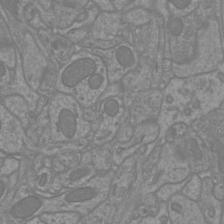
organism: Mouse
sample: Cortical neurons